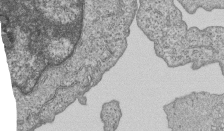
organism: Human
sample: MDA-MB-231 cells